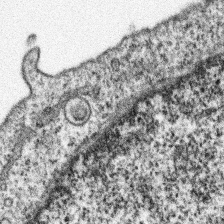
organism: Human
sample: HeLa cells